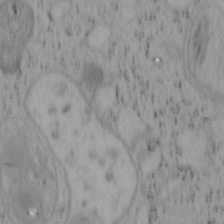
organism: Mouse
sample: OT-I killer T cells with ID8 ovarian cancer cells